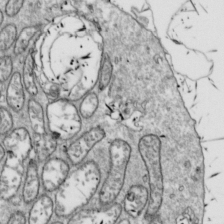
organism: Drosophila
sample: Cell division; meiosis; drosophila spermatocytes